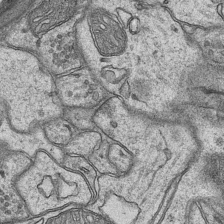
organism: Mouse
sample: CA1 Hippocampus